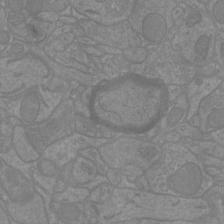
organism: Mouse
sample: Cortical neurons